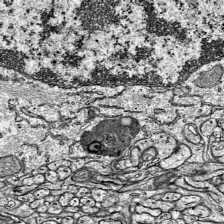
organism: Mouse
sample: Visual Cortex